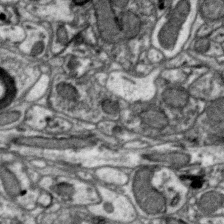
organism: Zebra finch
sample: Brain